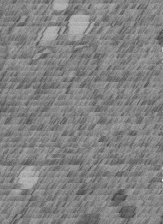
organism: C. elegans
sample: C. elegans embryo early stage